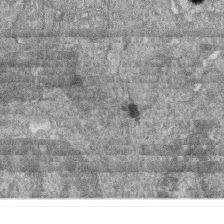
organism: Zebrafish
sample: Cilia; retinal pigment epithelium